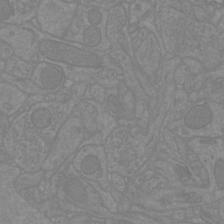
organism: Mouse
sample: Cortical neurons